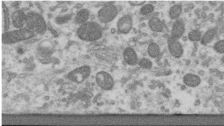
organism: Human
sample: Centriole in RPE cells